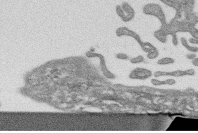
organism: Human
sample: CRL-1474